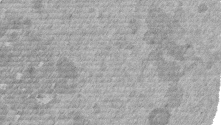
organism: Mouse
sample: Dividing mouse embryo 1 cell stage